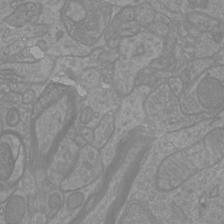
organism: Mouse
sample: Cortical neurons